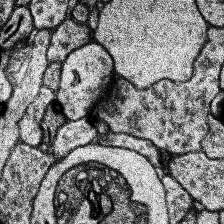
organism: Human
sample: Temporal Lobe